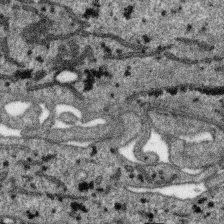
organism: Human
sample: Lung epithelial cells infected with SARS-CoV-2